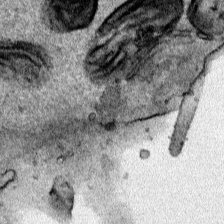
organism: Human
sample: Mitochondria in HCT116 cells